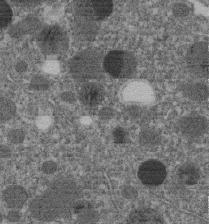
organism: C. elegans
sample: C. elegans embryo early stage